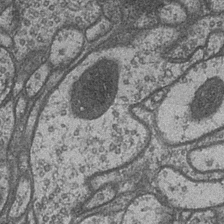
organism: Drosophila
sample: Optic medulla